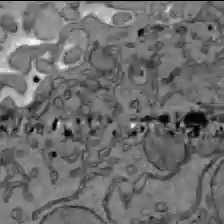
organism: C57BL Mouse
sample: Liver